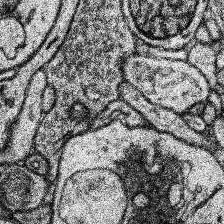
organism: Human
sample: Temporal Lobe